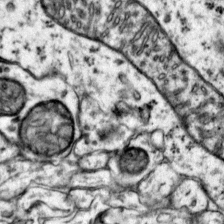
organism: Mouse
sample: Primary visual cortex